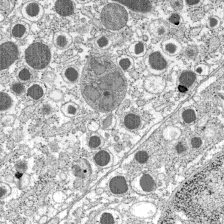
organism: C57BL Mouse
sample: Pancreatic islet